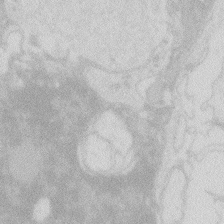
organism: Zebrafish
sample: Macrophage